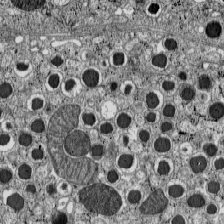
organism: C57BL Mouse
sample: Pancreatic islet